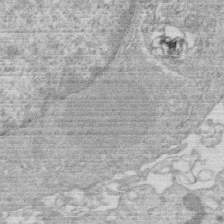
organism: Human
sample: Macrophage cells